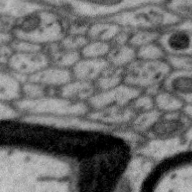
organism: Zebra finch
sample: Brain